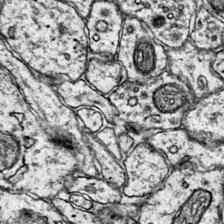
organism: Mouse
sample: Primary visual cortex